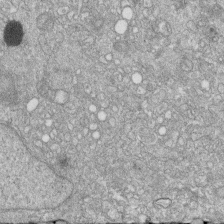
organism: Human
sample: HeLa cell HIV synapse